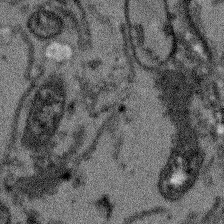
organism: Arabidopsis thaliana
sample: Root tip